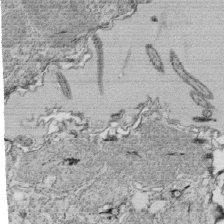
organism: Tetrahymena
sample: Cilia in tetrahymena